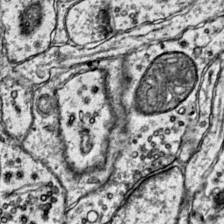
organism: Mouse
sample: Primary visual cortex